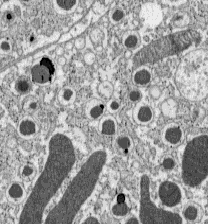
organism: C57BL Mouse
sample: Pancreatic islet